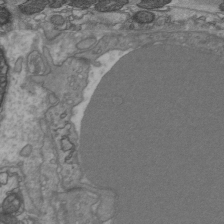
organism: C57BL Mouse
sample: Heart